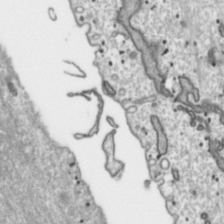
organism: Toxoplasma gondii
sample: Parasites in a vacuole inside a host cell